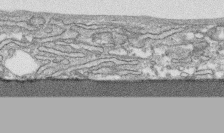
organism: Human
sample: CRL-1474